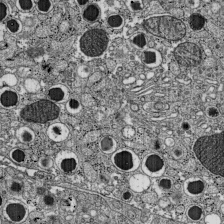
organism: C57BL Mouse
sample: Pancreatic islet